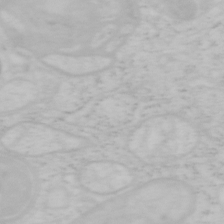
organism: Mouse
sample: OT-I killer T cells with ID8 ovarian cancer cells